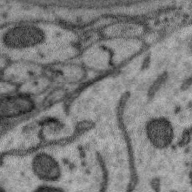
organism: Zebra finch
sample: Brain